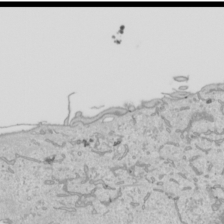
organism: Human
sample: Mitochondria in HCT116 cells